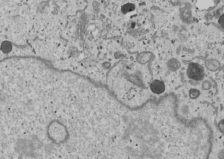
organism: Human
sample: Mitochondria in U2OS cells